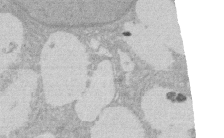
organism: Rat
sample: Salivary granule